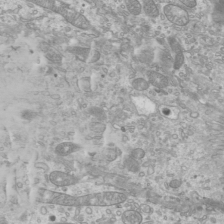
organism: Mouse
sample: Cilia; mouse epididymis